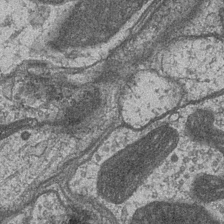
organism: Drosophila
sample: Optic medulla